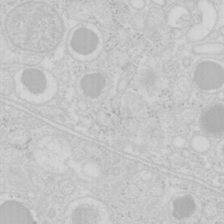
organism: Mouse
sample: Pancreas